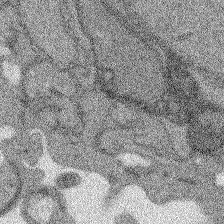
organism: Human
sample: HeLa cells